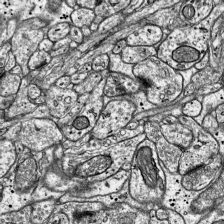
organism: Mouse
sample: Visual Cortex